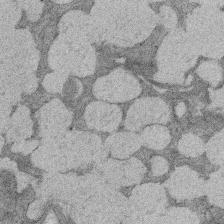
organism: Rat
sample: Salivary granule